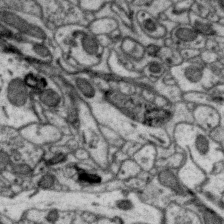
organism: Zebra finch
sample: Brain